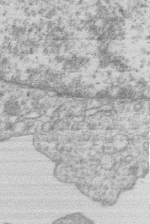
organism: Human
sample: Macrophage cells